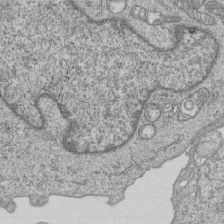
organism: Human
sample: MDA-MB-231 cells